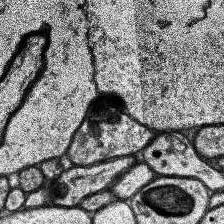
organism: Human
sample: Temporal Lobe